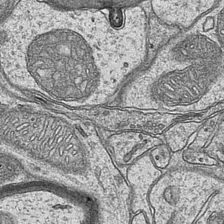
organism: Mouse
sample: CA1 Hippocampus